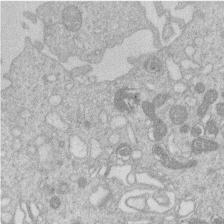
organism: Human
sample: Macrophage cells